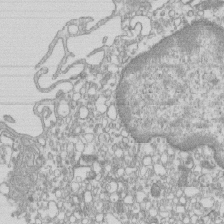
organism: Mouse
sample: Macrophages